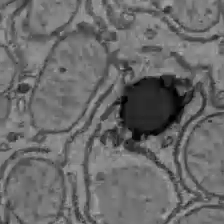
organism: C57BL Mouse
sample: Liver